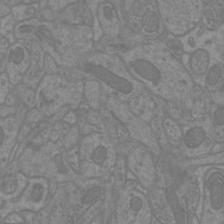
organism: Mouse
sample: Cortical neurons